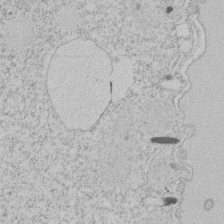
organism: Tetrahymena